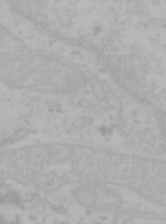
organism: Mouse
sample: Choroid plexus